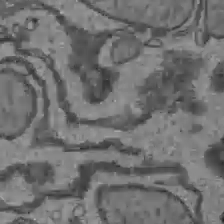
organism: C57BL Mouse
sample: Liver